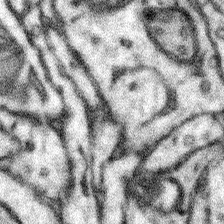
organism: Mouse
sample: Somatosensory cortex neuropil